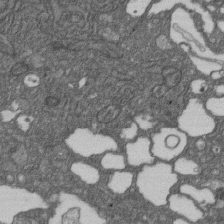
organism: Drosophila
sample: Nephrocyte